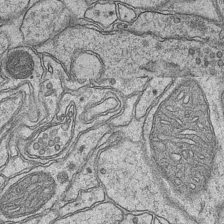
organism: Mouse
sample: CA1 Hippocampus